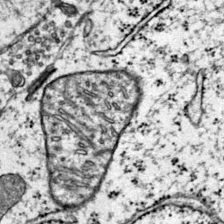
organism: Mouse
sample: Primary visual cortex